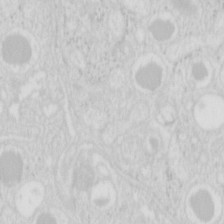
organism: Mouse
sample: Pancreas